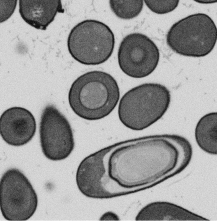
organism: B. subtilis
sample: Bacterial spore